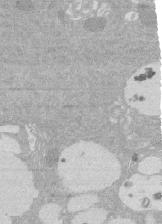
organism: Rat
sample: Salivary granule